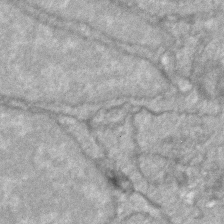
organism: Zebrafish